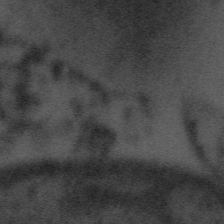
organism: Tuwongella immobilis